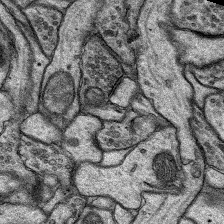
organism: Rat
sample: Hippocampus